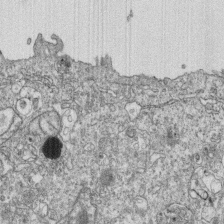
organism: Human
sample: HeLa cell HIV synapse